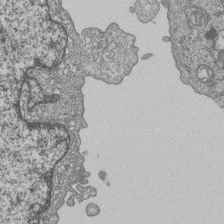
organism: Human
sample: MDA-MB-231 cells